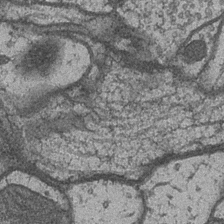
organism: Drosophila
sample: Optic medulla